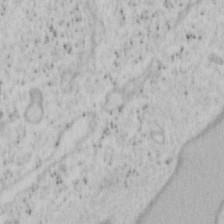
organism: Human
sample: HeLa cells